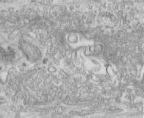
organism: Human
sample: Centriole in fibroblast cells